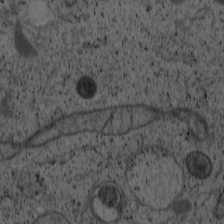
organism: African green monkey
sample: COS-7 cells